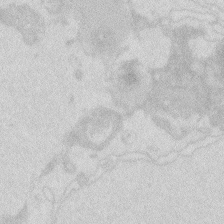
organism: Zebrafish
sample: Macrophage